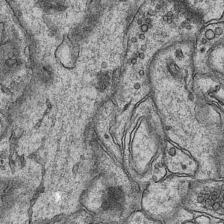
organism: Mouse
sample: CA1 Hippocampus